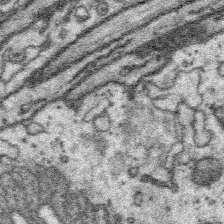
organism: Platynereis dumerilii